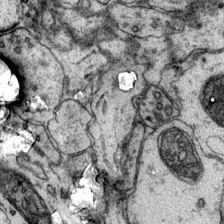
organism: Mouse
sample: Primary visual cortex